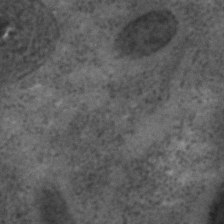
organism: C. elegans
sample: C. elegans embryo